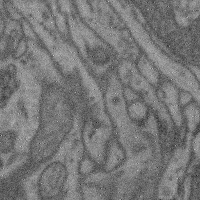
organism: Mouse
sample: Cerebral cortex